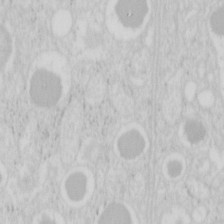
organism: Mouse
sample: Pancreas